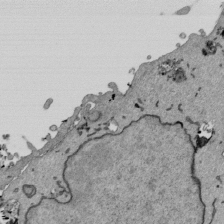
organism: Mouse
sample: ED-1 cell nuclei; centrioles